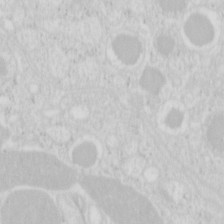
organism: Mouse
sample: Pancreas